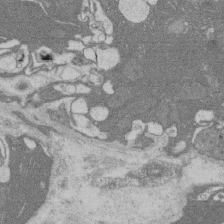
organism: Rat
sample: Salivary granule